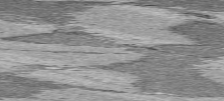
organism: C57BL Mouse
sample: Heart